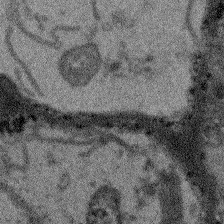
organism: Arabidopsis thaliana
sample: Root tip